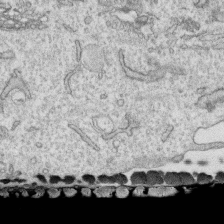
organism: Human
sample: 1205lu cells